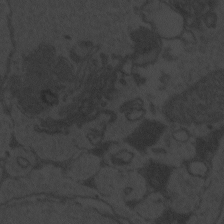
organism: Zebrafish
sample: Macrophage infected with Toxoplasma gondii